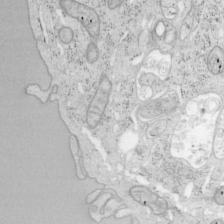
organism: Mouse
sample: OT-I killer T cells with ID8 ovarian cancer cells